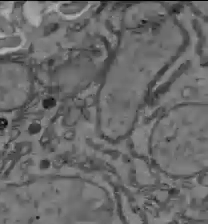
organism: C57BL Mouse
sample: Liver